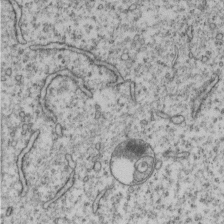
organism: Human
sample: MDA-MB-231 cells